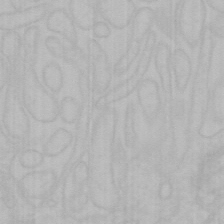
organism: Mouse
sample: Choroid plexus